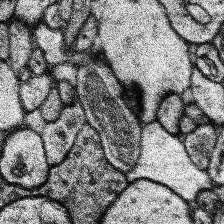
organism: Human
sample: Temporal Lobe